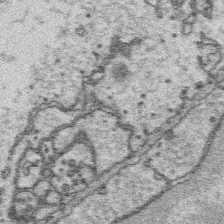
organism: Platynereis dumerilii